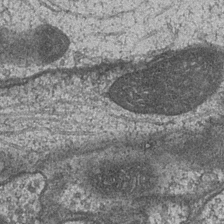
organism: Drosophila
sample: Optic medulla